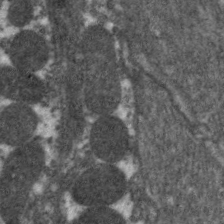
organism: C. elegans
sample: Pharynx